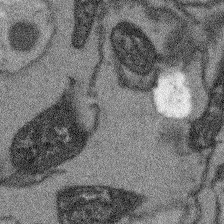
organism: Arabidopsis thaliana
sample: Root tip